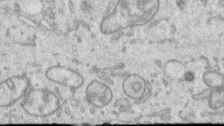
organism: Human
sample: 1205lu cells